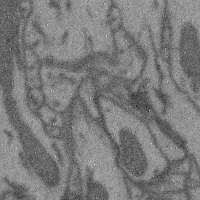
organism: Mouse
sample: Cerebral cortex